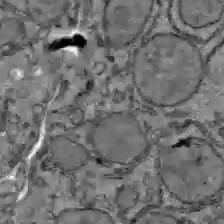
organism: C57BL Mouse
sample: Liver